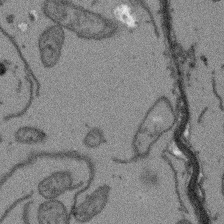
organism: Arabidopsis thaliana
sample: Root tip